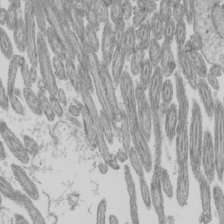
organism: Mouse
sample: Cilia; mouse epididymis